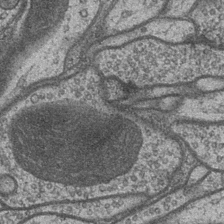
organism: Drosophila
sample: Optic medulla